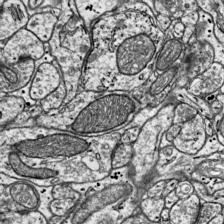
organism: Mouse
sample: Visual Cortex